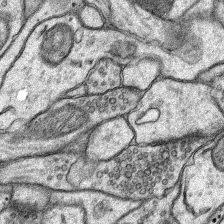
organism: Rat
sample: Hippocampus